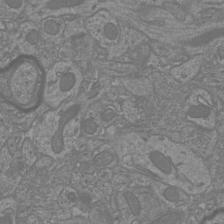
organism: Mouse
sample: Cortical neurons